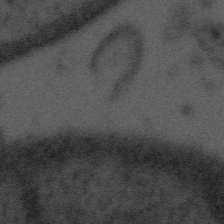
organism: Tuwongella immobilis